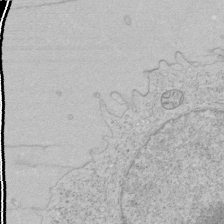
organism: Human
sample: Mitochondria in HCT116 cells